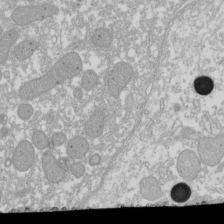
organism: Xenopus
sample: Cilia; centrioles in frog embryo cells